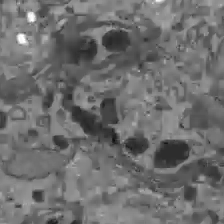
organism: C57BL Mouse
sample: Liver